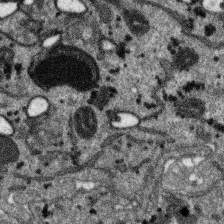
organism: Human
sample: Lung epithelial cells infected with SARS-CoV-2